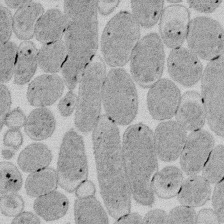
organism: E. coli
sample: Bacterial nucleoid